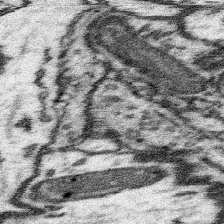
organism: Mouse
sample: Somatosensory cortex neuropil